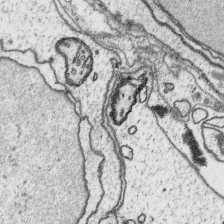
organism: Platynereis dumerilii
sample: Parapodia